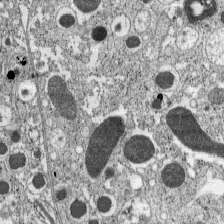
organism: C57BL Mouse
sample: Pancreatic islet